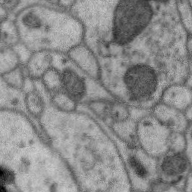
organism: Zebra finch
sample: Brain